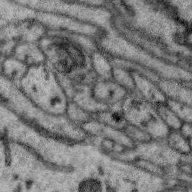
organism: Zebra finch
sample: Brain